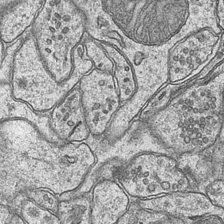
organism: Mouse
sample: CA1 Hippocampus